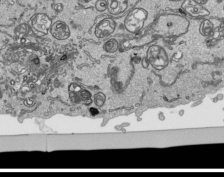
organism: Human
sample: Mitochondria in HCT116 cells